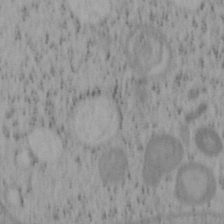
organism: Mouse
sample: OT-I killer T cells with ID8 ovarian cancer cells